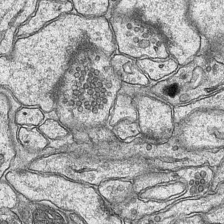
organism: Mouse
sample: CA1 Hippocampus